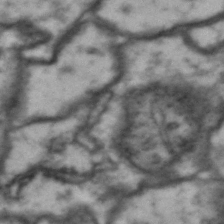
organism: Drosophila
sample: Brain